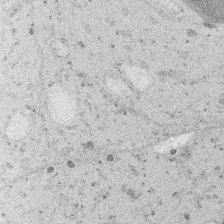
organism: Embia sp.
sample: Silk gland